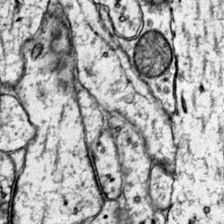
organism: Mouse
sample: Primary visual cortex